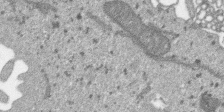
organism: Human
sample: Lung epithelial cells infected with SARS-CoV-2